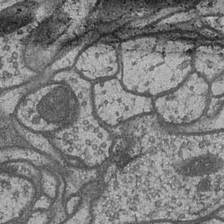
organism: Drosophila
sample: Optic medulla